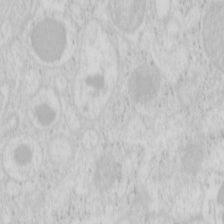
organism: Mouse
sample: Pancreas